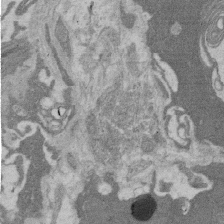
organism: Rat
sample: Salivary granule